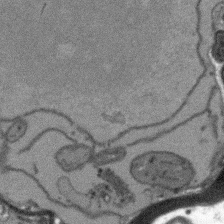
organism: Arabidopsis thaliana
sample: Root tip